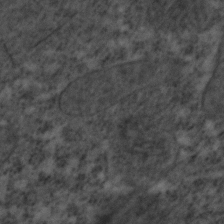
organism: C. elegans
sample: C. elegans embryo